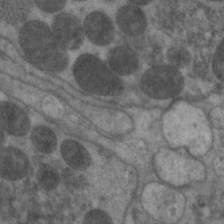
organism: C. elegans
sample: Pharynx